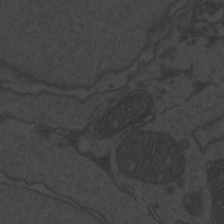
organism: Zebrafish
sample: Macrophage infected with Toxoplasma gondii